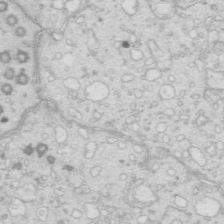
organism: Mouse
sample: Multiciliated cells